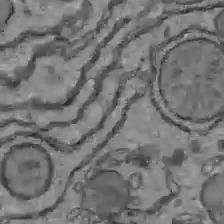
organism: C57BL Mouse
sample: Liver